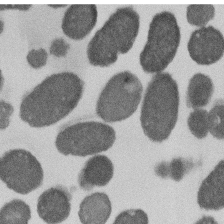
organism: E. coli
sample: Bacterial nucleoid